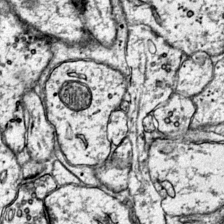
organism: Mouse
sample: Primary visual cortex